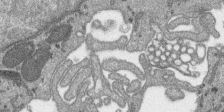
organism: Human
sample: Lung epithelial cells infected with SARS-CoV-2